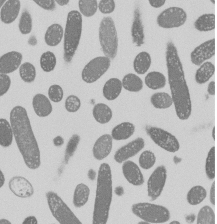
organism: E. coli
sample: Bacterial nucleoid